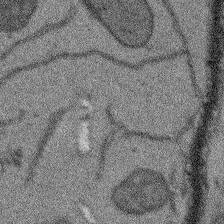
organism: Arabidopsis thaliana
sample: Root tip